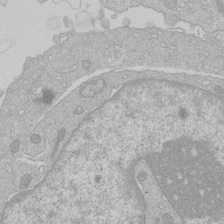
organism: Human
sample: Macrophage cells